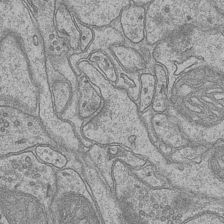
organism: Mouse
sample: CA1 Hippocampus